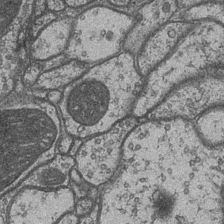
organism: Drosophila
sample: Optic medulla